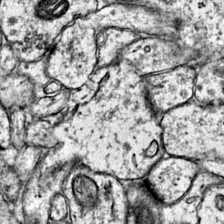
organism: Mouse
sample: Primary visual cortex